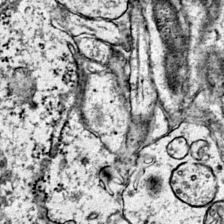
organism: Mouse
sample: Primary visual cortex